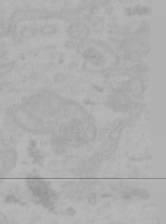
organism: Mouse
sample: Choroid plexus